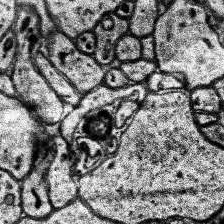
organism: Human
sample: Temporal Lobe